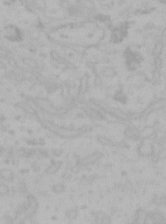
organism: Mouse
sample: Choroid plexus